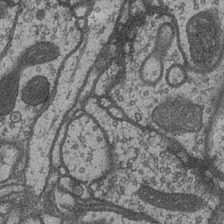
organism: Drosophila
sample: Optic medulla